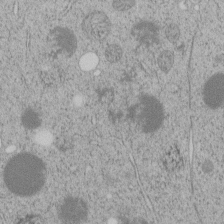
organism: C. elegans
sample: C. elegans embryo early stage